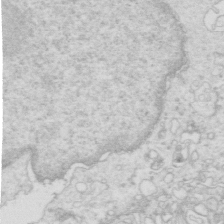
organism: Mouse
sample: Multiciliated cells